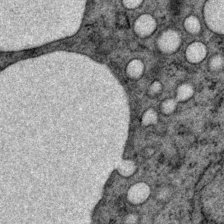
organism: P. pacificus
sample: Pharynx